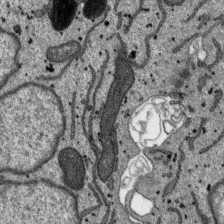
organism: Human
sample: Lung epithelial cells, uninfected (mock) control